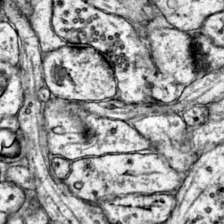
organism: Mouse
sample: Primary visual cortex